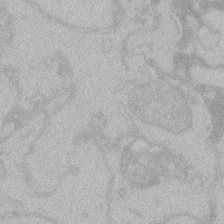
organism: Zebrafish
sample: Macrophage infected with Toxoplasma gondii